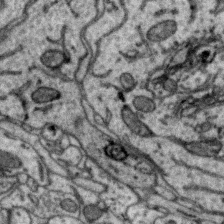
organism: Zebra finch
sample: Brain